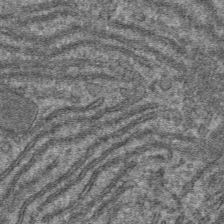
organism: Mouse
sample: Mouse hepatocytes